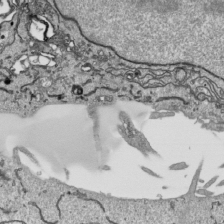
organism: Human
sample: Mitochondria in HCT116 cells